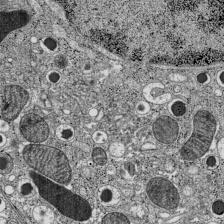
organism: C57BL Mouse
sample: Pancreatic islet